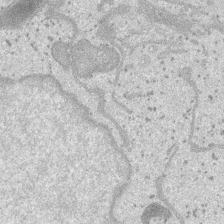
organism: Human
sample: Lung epithelial cells infected with SARS-CoV-2